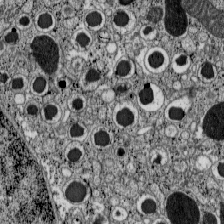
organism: C57BL Mouse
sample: Pancreatic islet